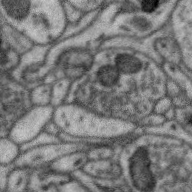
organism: Zebra finch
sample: Brain